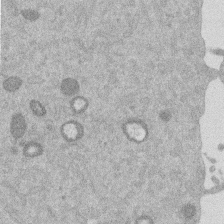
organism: Mouse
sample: Dividing mouse embryo 1 cell stage